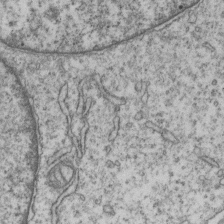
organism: Human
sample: MDA-MB-231 cells